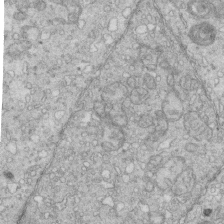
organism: Mouse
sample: Multiciliated cells